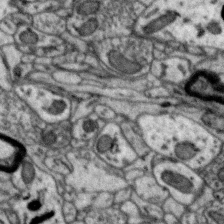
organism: Zebra finch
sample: Brain